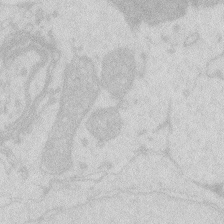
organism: Zebrafish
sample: Macrophage